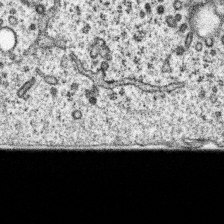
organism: Human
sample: HeLa cells